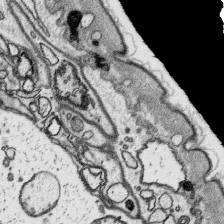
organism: Platynereis dumerilii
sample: Parapodia